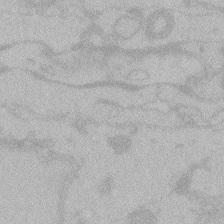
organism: Zebrafish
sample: Macrophage infected with Toxoplasma gondii